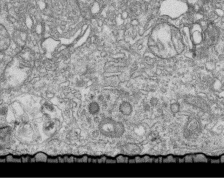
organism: Human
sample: HeLa cell HIV synapse